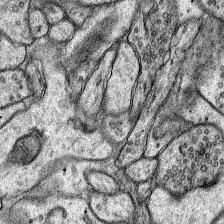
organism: Rat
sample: Hippocampus